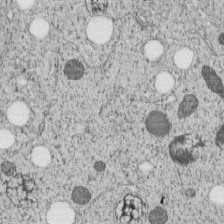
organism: C. elegans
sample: C. elegans embryo early stage